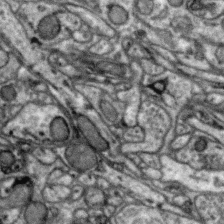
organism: Zebra finch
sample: Brain